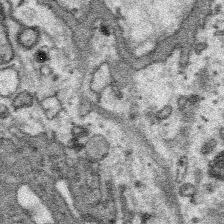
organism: Platynereis dumerilii